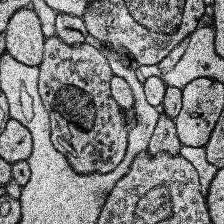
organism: Human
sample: Temporal Lobe